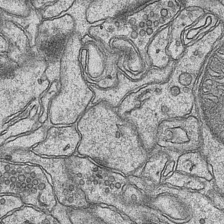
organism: Mouse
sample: CA1 Hippocampus